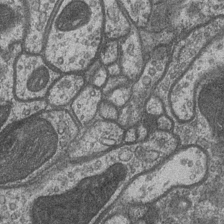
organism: Drosophila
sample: Optic medulla